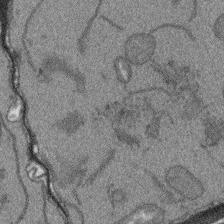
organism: Arabidopsis thaliana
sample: Root tip